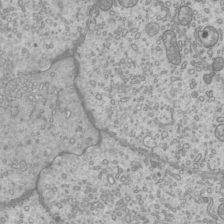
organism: Mouse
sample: Cilia; mouse epididymis